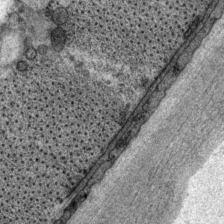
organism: P. pacificus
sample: Pharynx